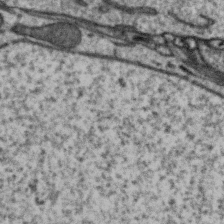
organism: Zebra finch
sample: Brain